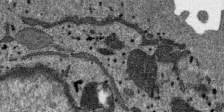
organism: Human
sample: Lung epithelial cells, uninfected (mock) control